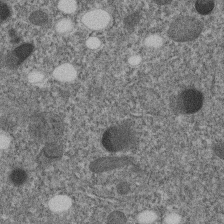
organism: C. elegans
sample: C. elegans embryo early stage